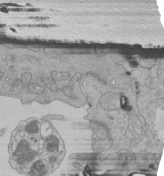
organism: Human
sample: Retinal organoid Rod and Cone cells